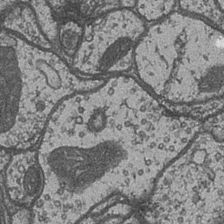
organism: Drosophila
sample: Optic medulla